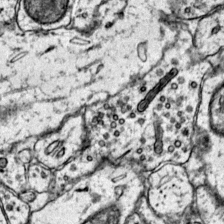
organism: Mouse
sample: Primary visual cortex